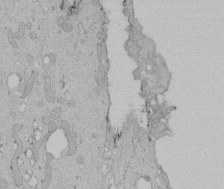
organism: Human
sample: Melanocyte Keratinocyte synapse skin construct